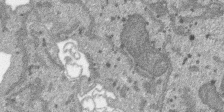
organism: Human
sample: Lung epithelial cells infected with SARS-CoV-2